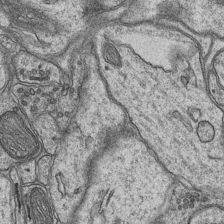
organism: Mouse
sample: CA1 Hippocampus